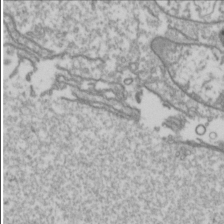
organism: Drosophila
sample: Cell division; meiosis; drosophila spermatocytes